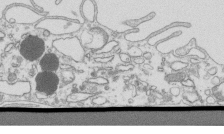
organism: Mouse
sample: Macrophages